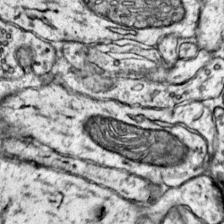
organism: Mouse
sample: Primary visual cortex